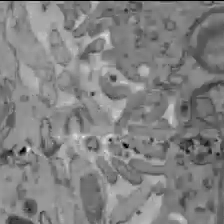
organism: C57BL Mouse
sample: Liver